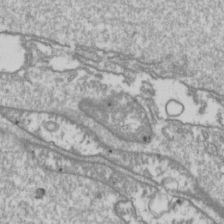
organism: Drosophila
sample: Cell division; meiosis; drosophila spermatocytes